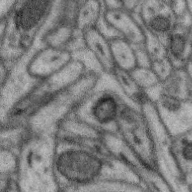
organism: Zebra finch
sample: Brain